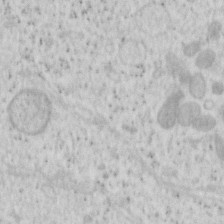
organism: Human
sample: HeLa cells